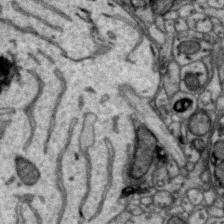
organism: Zebra finch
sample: Brain